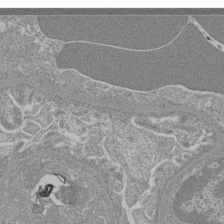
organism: Mouse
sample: Glomerulus